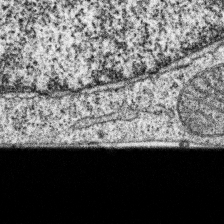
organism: Human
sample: HeLa cells